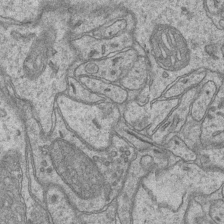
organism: Mouse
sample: CA1 Hippocampus